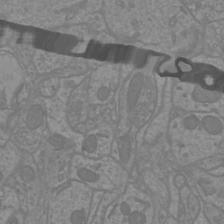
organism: Mouse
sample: Cortical neurons